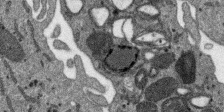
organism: Human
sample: Lung epithelial cells infected with SARS-CoV-2